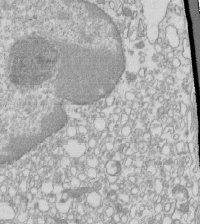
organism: Mouse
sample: Macrophages